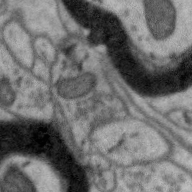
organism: Zebra finch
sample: Brain